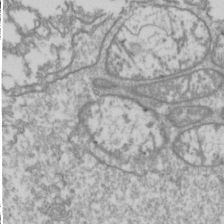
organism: Drosophila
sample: Cell division; meiosis; drosophila spermatocytes